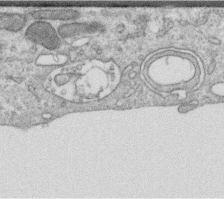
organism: Human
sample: Centriole in RPE cells